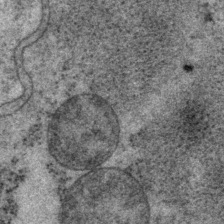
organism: P. pacificus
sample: Pharynx